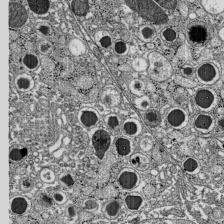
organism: C57BL Mouse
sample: Pancreatic islet